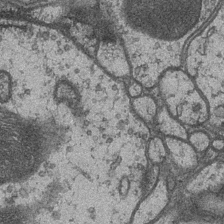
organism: Drosophila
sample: Optic medulla